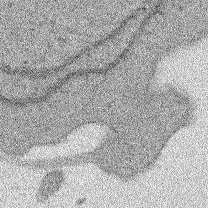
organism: Human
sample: HeLa cells